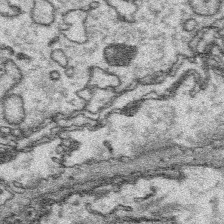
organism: Platynereis dumerilii